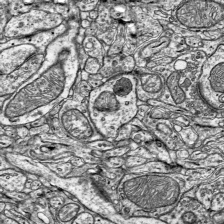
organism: Mouse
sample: Visual Cortex